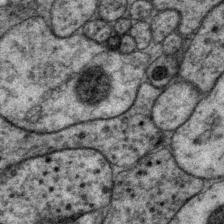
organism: P. pacificus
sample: Pharynx